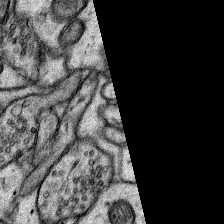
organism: Rat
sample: Hippocampus